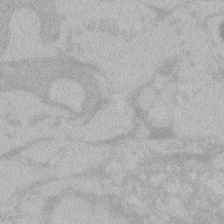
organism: Zebrafish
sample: Macrophage infected with Toxoplasma gondii